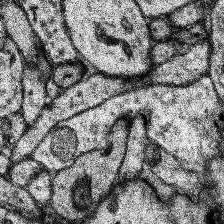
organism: Human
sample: Temporal Lobe